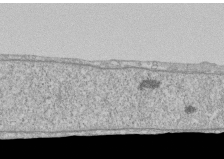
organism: Human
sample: CRL-1474